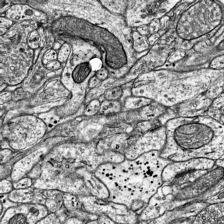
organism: Mouse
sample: Visual Cortex